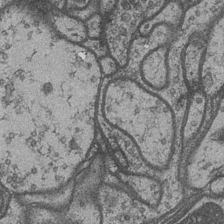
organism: Drosophila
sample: Optic medulla